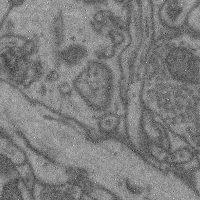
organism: Mouse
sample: Cerebral cortex